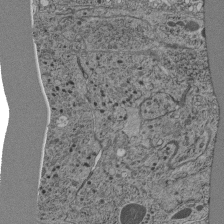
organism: C. elegans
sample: C. elegans pharynx